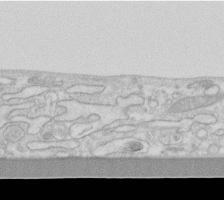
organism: Human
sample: Fibroblast cells